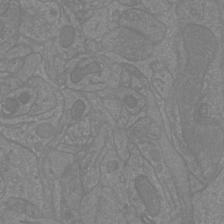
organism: Mouse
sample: Cortical neurons